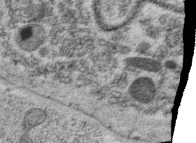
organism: C. elegans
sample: C. elegans oocyte; sperm cells